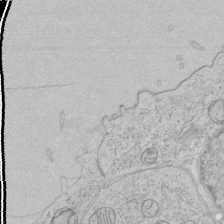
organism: Human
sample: Mitochondria in HCT116 cells